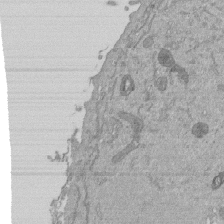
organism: Mouse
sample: ED-1 cell nuclei; centrioles